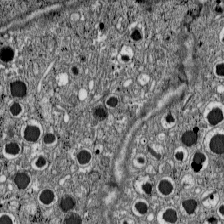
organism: C57BL Mouse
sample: Pancreatic islet